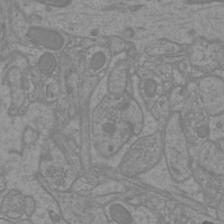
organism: Mouse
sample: Cortical neurons